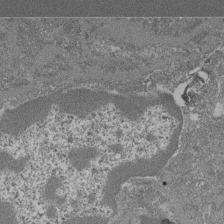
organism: Mouse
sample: Glomerulus